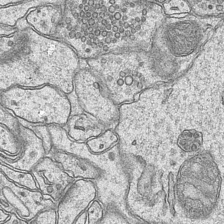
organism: Mouse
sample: CA1 Hippocampus